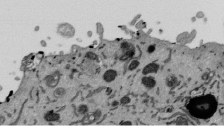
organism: Mouse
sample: ED-1 cell nuclei; centrioles